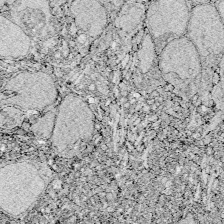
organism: Zebrafish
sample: Whole-Brain